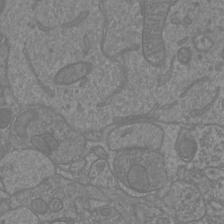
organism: Mouse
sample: Cortical neurons